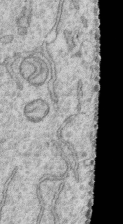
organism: Human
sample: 1205lu cells